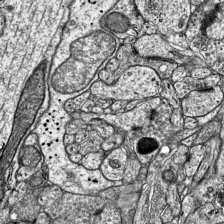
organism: Mouse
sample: Visual Cortex